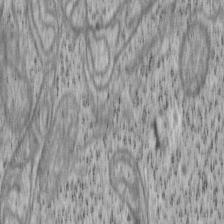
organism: Human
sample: HeLa cells